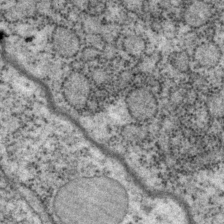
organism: P. pacificus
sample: Pharynx